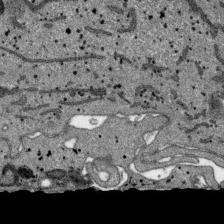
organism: Human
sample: Lung epithelial cells, uninfected (mock) control